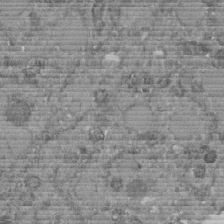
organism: C. elegans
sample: C. elegans embryo early stage